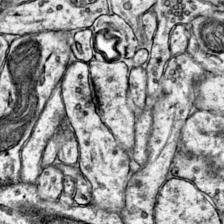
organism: Mouse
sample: Primary visual cortex